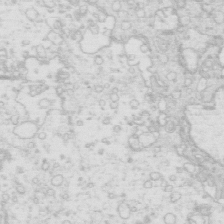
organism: Mouse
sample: Multiciliated cells